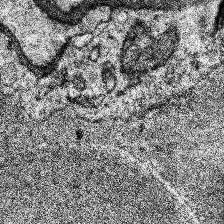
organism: Human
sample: Temporal Lobe